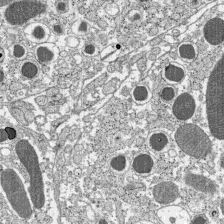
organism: C57BL Mouse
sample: Pancreatic islet